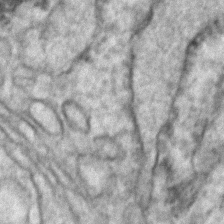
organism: Human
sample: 1205lu cells